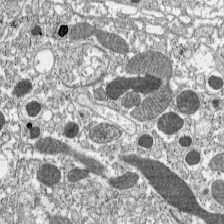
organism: C57BL Mouse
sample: Pancreatic islet